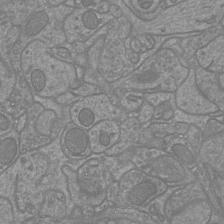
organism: Mouse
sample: Cortical neurons